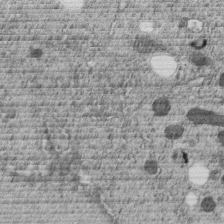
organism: C. elegans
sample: C. elegans embryo early stage